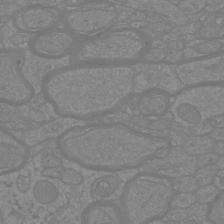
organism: Mouse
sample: Cortical neurons